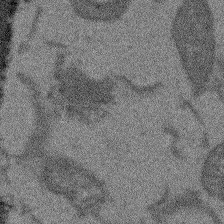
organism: Arabidopsis thaliana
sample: Root tip